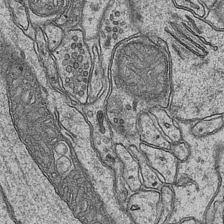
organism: Mouse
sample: CA1 Hippocampus